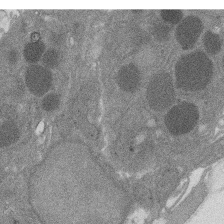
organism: Rat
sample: Salivary granule